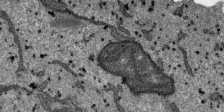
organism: Human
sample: Lung epithelial cells, uninfected (mock) control